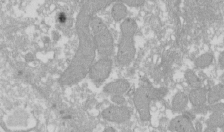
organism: Xenopus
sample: Cilia; centrioles in frog embryo cells